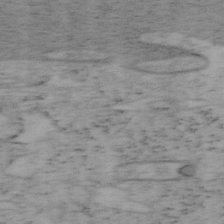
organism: Mouse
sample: OT-I killer T cells with ID8 ovarian cancer cells